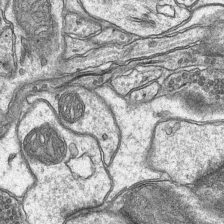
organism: Mouse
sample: CA1 Hippocampus